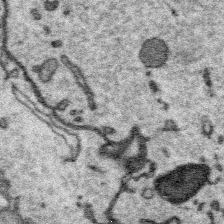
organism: Platynereis dumerilii